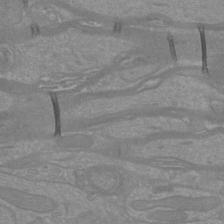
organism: Mouse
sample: Cortical neurons